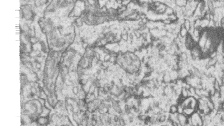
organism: Zebrafish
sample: synaptic ribbons in rod cells and cone cells